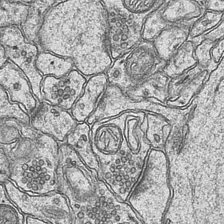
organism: Mouse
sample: CA1 Hippocampus